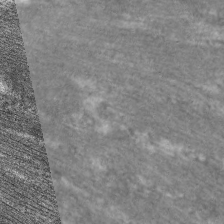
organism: C. elegans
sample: Pharynx